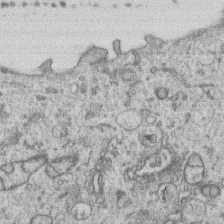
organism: Human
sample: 1205lu cells